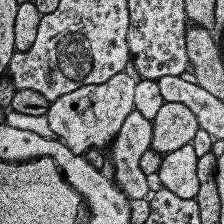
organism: Human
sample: Temporal Lobe